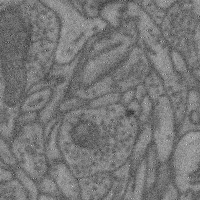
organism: Mouse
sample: Cerebral cortex